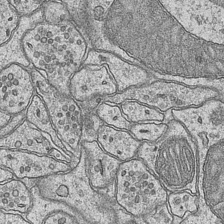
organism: Mouse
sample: CA1 Hippocampus